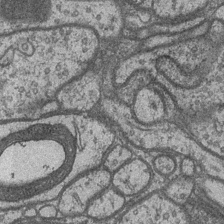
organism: Drosophila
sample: Optic medulla